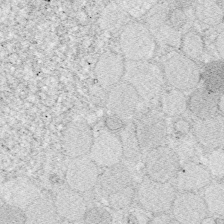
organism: Zebrafish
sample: Whole-Brain